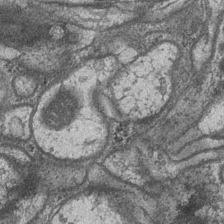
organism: Drosophila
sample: Optic medulla